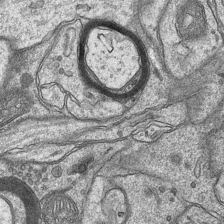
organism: Mouse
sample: CA1 Hippocampus